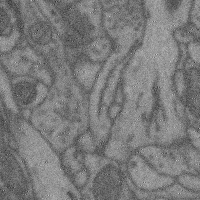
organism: Mouse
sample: Cerebral cortex